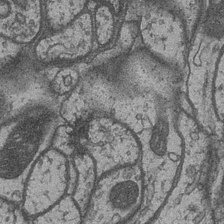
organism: Drosophila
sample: Optic medulla